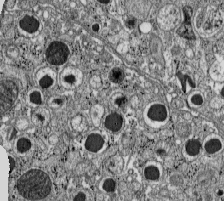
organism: C57BL Mouse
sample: Pancreatic islet